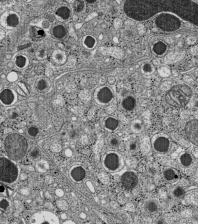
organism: C57BL Mouse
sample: Pancreatic islet